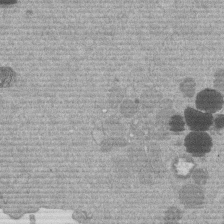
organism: Mouse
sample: Dividing mouse embryo 1 cell stage